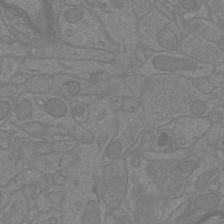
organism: Mouse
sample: Cortical neurons